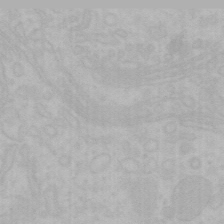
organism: Mouse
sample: Choroid plexus